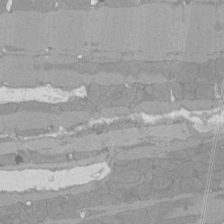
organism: Rat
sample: Left ventricle